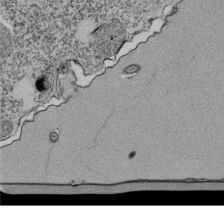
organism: Tetrahymena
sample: Cilia in tetrahymena